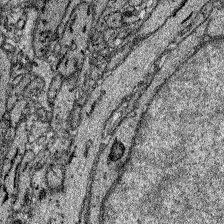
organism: Zebrafish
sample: Larval olfactory bulb